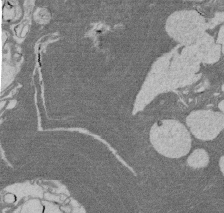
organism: Rat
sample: Salivary granule